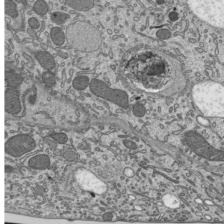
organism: Mouse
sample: Mouse epididymis efferent ductule cilia